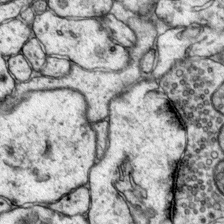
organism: Mouse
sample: Primary visual cortex